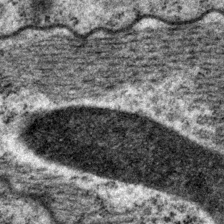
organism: P. pacificus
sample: Pharynx